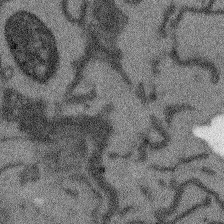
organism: Arabidopsis thaliana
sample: Root tip